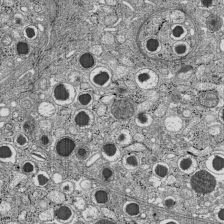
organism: C57BL Mouse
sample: Pancreatic islet